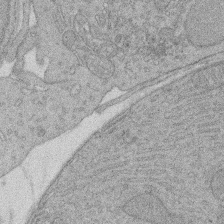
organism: Rat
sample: Salivary granule